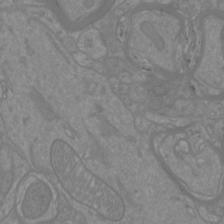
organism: Mouse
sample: Cortical neurons